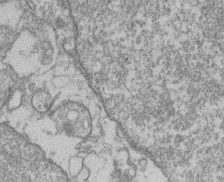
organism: Mouse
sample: T cell stromal cell synapse